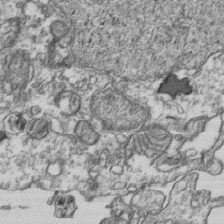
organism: Human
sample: Activated Jurkat CD4+ T cells